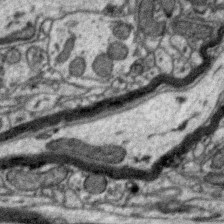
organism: Zebra finch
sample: Brain